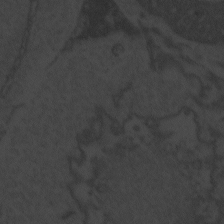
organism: Zebrafish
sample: Macrophage infected with Toxoplasma gondii